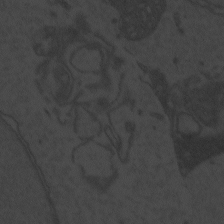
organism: Zebrafish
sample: Macrophage infected with Toxoplasma gondii